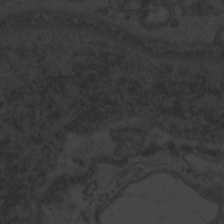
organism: Zebrafish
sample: Macrophage infected with Toxoplasma gondii